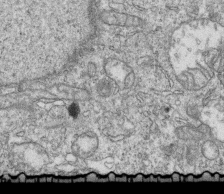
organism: Human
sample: HeLa cell HIV synapse